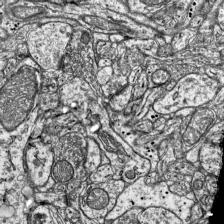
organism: Mouse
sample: Visual Cortex